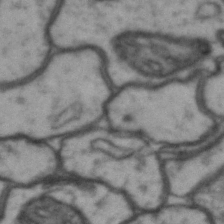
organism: Drosophila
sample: Brain